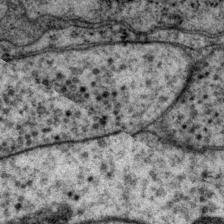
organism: P. pacificus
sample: Pharynx